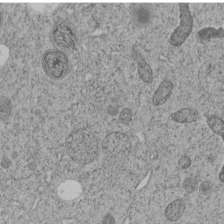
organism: C. elegans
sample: C. elegans embryo early stage